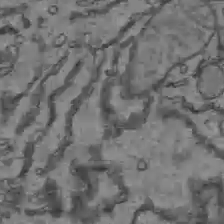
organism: C57BL Mouse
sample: Liver